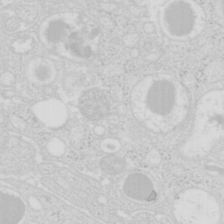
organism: Mouse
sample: Pancreas